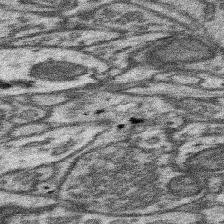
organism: Mouse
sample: Somatosensory cortex neuropil